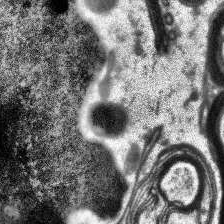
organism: Human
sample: Temporal Lobe